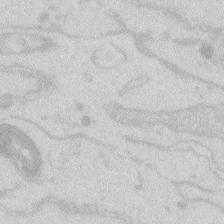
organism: Zebrafish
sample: Macrophage